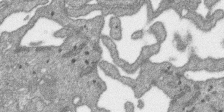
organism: Human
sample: Lung epithelial cells infected with SARS-CoV-2